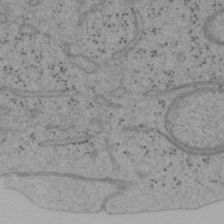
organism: Human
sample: HeLa cells